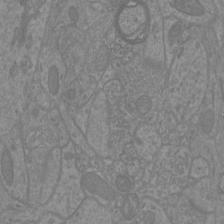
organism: Mouse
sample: Cortical neurons